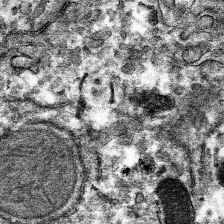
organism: Mouse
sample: Mouse hepatocytes